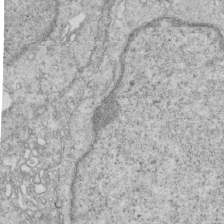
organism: Mouse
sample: Multiciliated cells